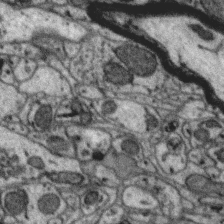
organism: Zebra finch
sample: Brain